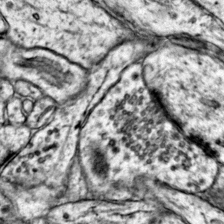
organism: Mouse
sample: Primary visual cortex